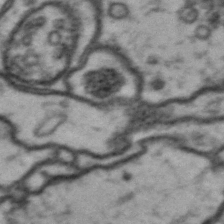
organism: Drosophila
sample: Brain